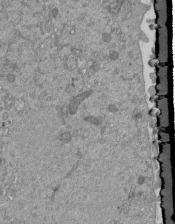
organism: Mouse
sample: ED-1 cell nuclei; centrioles